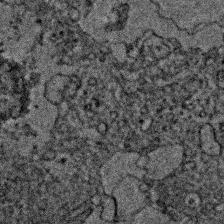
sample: Trachea